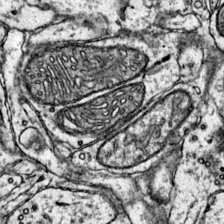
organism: Mouse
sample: Primary visual cortex